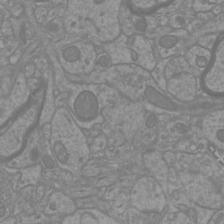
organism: Mouse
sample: Cortical neurons